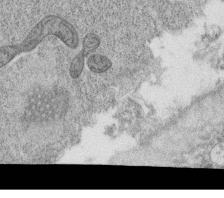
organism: C. elegans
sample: C. elegans oocyte; sperm cells